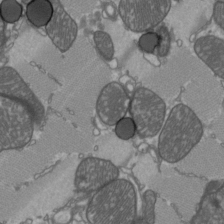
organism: C57BL Mouse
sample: Heart